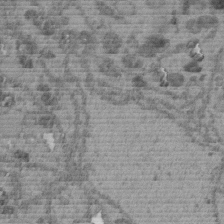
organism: C. elegans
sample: C. elegans embryo early stage